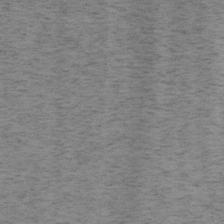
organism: Mouse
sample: OT-I killer T cells with ID8 ovarian cancer cells